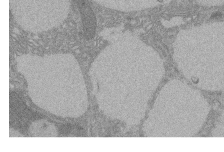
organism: Rat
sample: Salivary granule